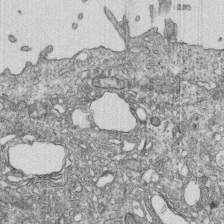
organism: Human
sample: HeLa cell HIV synapse